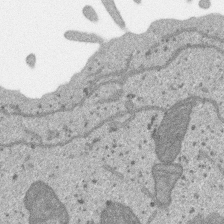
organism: Human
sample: Lung epithelial cells infected with SARS-CoV-2